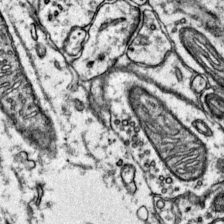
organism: Mouse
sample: Primary visual cortex